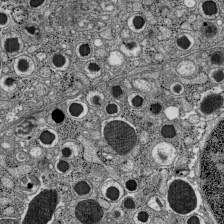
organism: C57BL Mouse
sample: Pancreatic islet